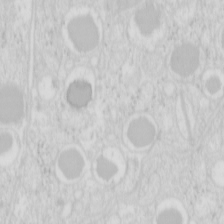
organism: Mouse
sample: Pancreas